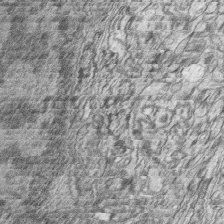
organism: Zebrafish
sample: synaptic ribbons in rod cells and cone cells